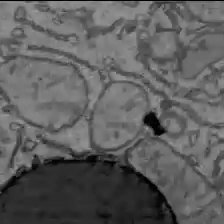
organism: C57BL Mouse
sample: Liver